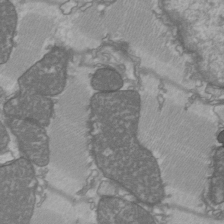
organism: C57BL Mouse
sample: Heart